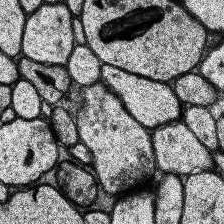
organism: Human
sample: Temporal Lobe